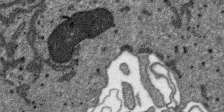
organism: Human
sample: Lung epithelial cells infected with SARS-CoV-2